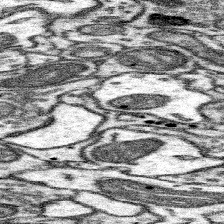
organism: Mouse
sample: Somatosensory cortex neuropil